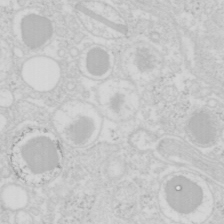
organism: Mouse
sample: Pancreas